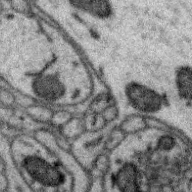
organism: Zebra finch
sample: Brain